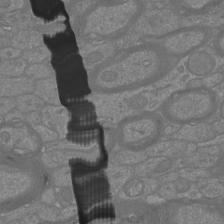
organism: Mouse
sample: Cortical neurons